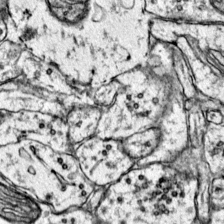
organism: Mouse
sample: Primary visual cortex